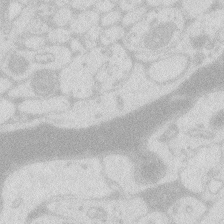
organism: Zebrafish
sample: Macrophage